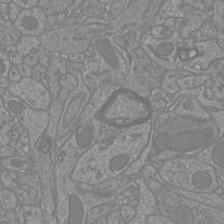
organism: Mouse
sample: Cortical neurons